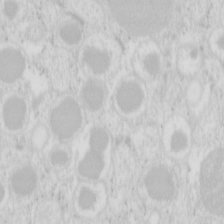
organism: Mouse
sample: Pancreas